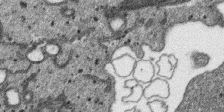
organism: Human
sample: Lung epithelial cells infected with SARS-CoV-2